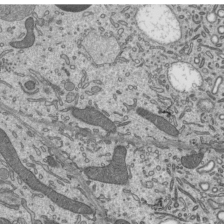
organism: Mouse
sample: Mouse epididymis efferent ductule cilia